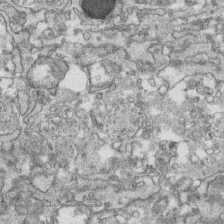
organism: Human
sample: CRL-1474